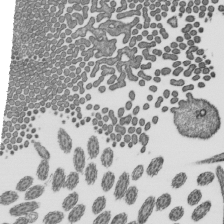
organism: Mouse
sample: Mouse epididymis efferent ductule cilia